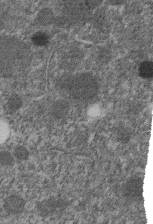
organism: C. elegans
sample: C. elegans embryo early stage